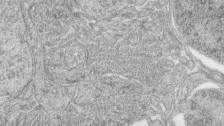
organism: Zebrafish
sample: synaptic ribbons in rod cells and cone cells